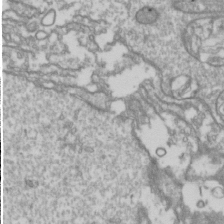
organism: Drosophila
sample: Cell division; meiosis; drosophila spermatocytes